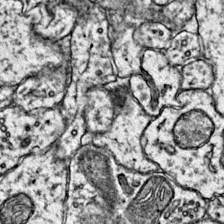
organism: Mouse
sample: Primary visual cortex